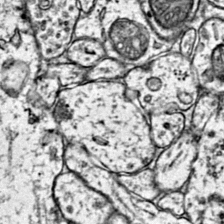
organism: Mouse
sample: Primary visual cortex